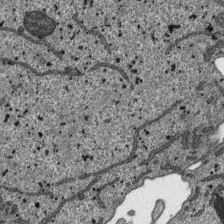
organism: Human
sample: Lung epithelial cells infected with SARS-CoV-2